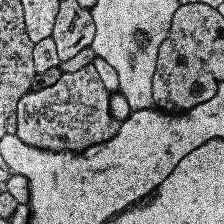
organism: Human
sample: Temporal Lobe